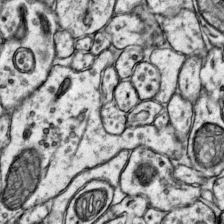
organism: Mouse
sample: Primary visual cortex